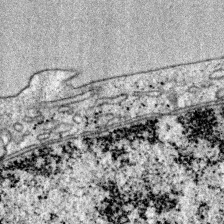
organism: Human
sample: HeLa cells